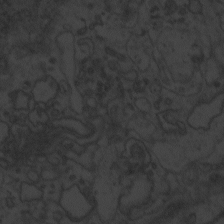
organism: Zebrafish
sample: Macrophage infected with Toxoplasma gondii